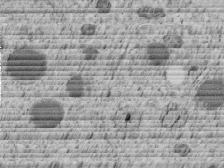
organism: C. elegans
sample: C. elegans embryo early stage